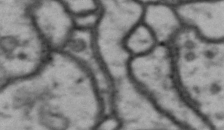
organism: Drosophila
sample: Brain